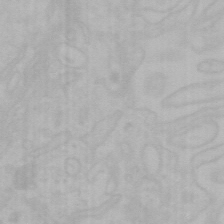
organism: Mouse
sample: Choroid plexus